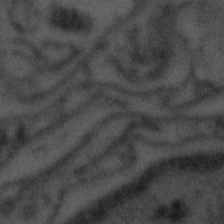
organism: Tuwongella immobilis